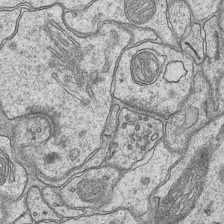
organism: Mouse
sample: CA1 Hippocampus